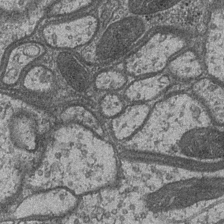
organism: Drosophila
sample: Optic medulla